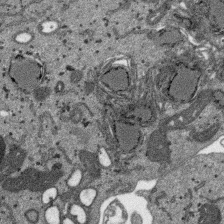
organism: Human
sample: Lung epithelial cells infected with SARS-CoV-2